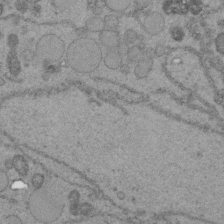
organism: C. elegans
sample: C. elegans embryo early stage